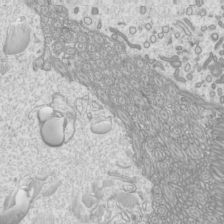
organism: Mouse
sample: Cilia; mouse epididymis